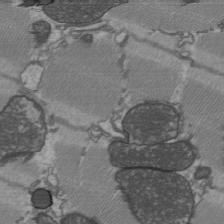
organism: C57BL Mouse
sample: Heart